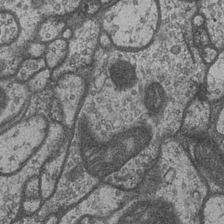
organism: Drosophila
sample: Optic medulla